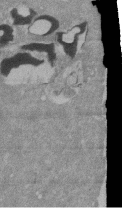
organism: Mouse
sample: ED-1 cell nuclei; centrioles